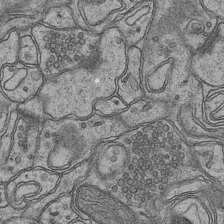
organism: Mouse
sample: CA1 Hippocampus